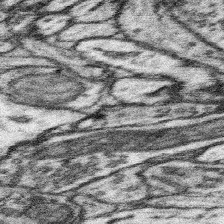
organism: Mouse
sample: Somatosensory cortex neuropil